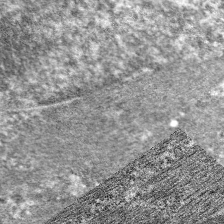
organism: C. elegans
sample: Pharynx